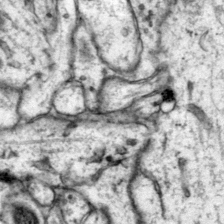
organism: Mouse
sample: Primary visual cortex